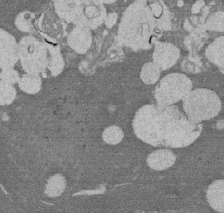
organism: Rat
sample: Salivary granule